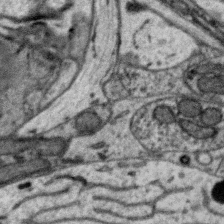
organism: Zebra finch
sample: Brain